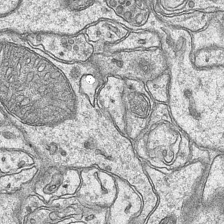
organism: Mouse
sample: CA1 Hippocampus